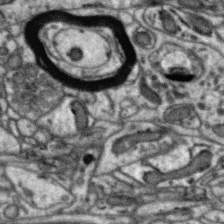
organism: Zebra finch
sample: Brain